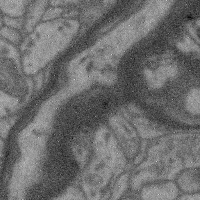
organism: Mouse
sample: Cerebral cortex